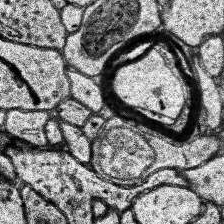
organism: Human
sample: Temporal Lobe